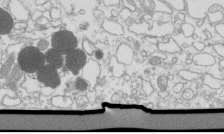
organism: Mouse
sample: Macrophages